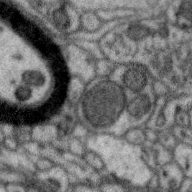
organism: Zebra finch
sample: Brain